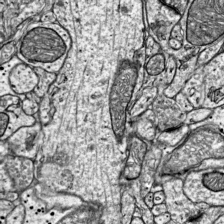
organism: Mouse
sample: Visual Cortex